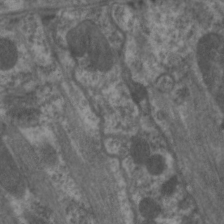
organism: C. elegans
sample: Pharynx